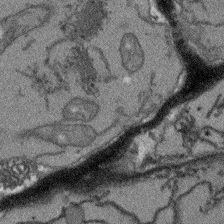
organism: Arabidopsis thaliana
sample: Root tip